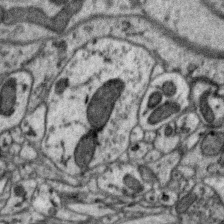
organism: Zebra finch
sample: Brain